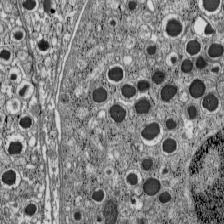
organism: C57BL Mouse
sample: Pancreatic islet